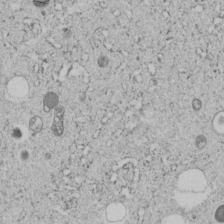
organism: C. elegans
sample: C. elegans embryo early stage